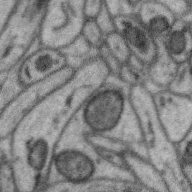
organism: Zebra finch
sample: Brain